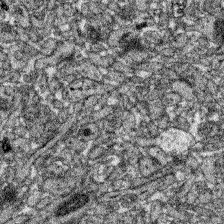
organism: Zebrafish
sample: Larval olfactory bulb